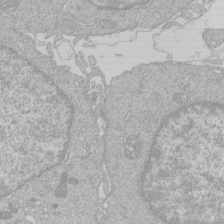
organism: Human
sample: Macrophage cells